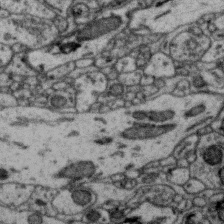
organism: Zebra finch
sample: Brain